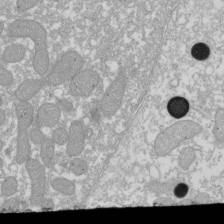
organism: Xenopus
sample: Cilia; centrioles in frog embryo cells